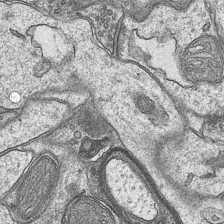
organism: Mouse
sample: CA1 Hippocampus